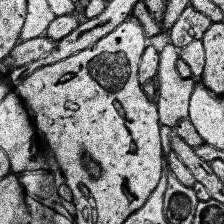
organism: Human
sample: Temporal Lobe